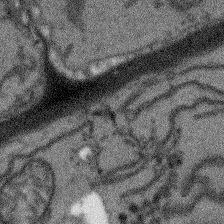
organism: Arabidopsis thaliana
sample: Root tip